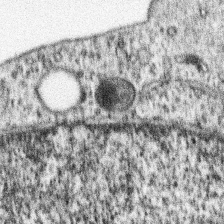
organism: Human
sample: HeLa cells